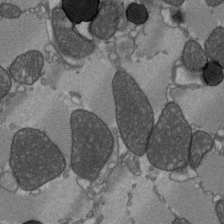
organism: C57BL Mouse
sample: Heart